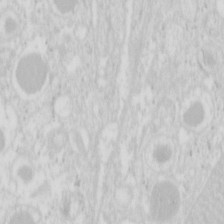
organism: Mouse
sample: Pancreas